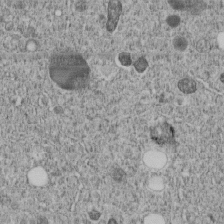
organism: C. elegans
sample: C. elegans embryo early stage